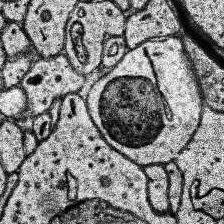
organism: Human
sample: Temporal Lobe